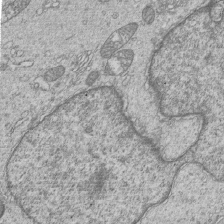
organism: Human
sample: MDA-MB-231 cells